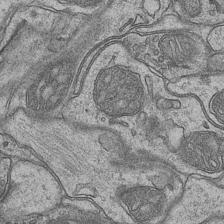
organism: Mouse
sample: CA1 Hippocampus